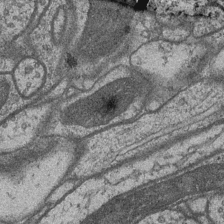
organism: Drosophila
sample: Optic medulla